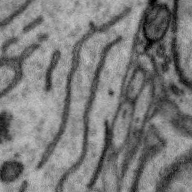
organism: Zebra finch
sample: Brain